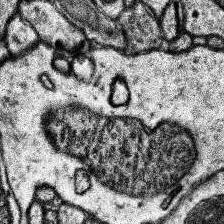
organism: Human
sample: Temporal Lobe